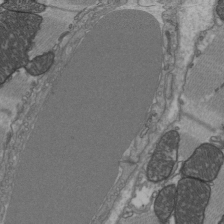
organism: C57BL Mouse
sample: Heart